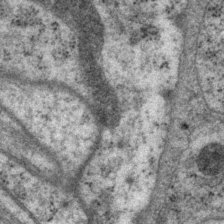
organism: P. pacificus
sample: Pharynx